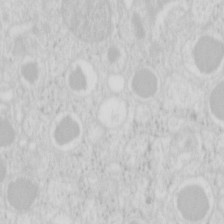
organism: Mouse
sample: Pancreas